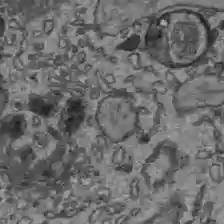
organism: C57BL Mouse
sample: Liver